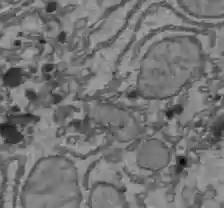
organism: C57BL Mouse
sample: Liver